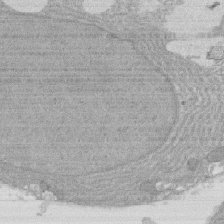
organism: Rat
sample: Salivary granule